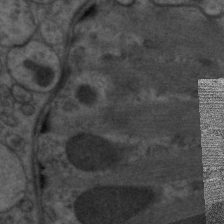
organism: C. elegans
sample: Pharynx